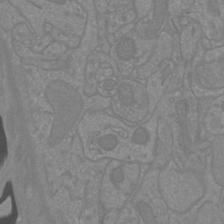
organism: Mouse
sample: Cortical neurons